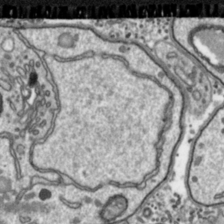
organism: Toxoplasma gondii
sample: Parasites in a vacuole inside a host cell